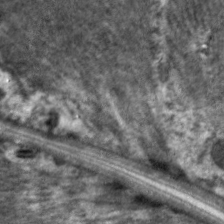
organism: C. elegans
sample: Pharynx